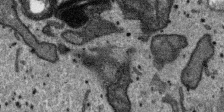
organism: Human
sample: Lung epithelial cells, uninfected (mock) control